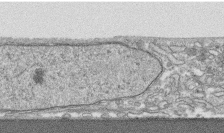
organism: Human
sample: CRL-1474